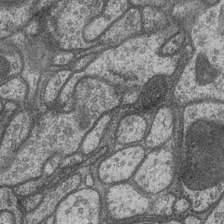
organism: Drosophila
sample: Optic medulla